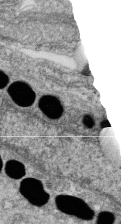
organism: Zebrafish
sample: Cilia; retinal pigment epithelium